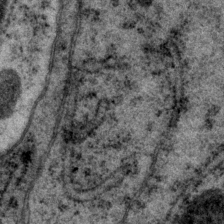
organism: P. pacificus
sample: Pharynx